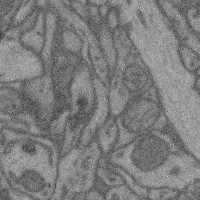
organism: Mouse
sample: Cerebral cortex